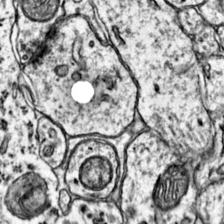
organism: Mouse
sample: Primary visual cortex